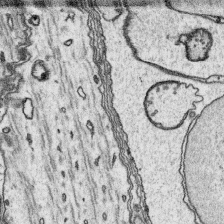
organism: Platynereis dumerilii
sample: Parapodia